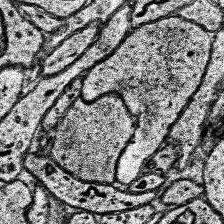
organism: Human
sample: Temporal Lobe